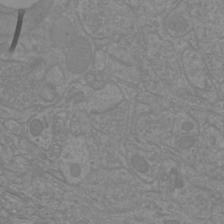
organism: Mouse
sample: Cortical neurons